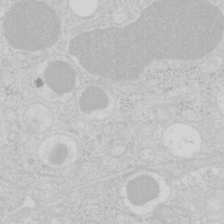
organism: Mouse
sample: Pancreas